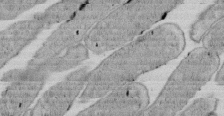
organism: E. coli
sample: Bacterial nucleoid